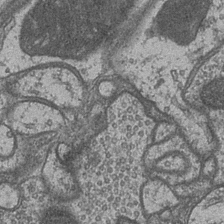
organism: Drosophila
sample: Optic medulla